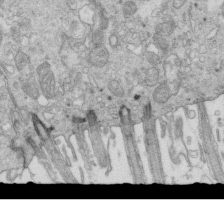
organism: Mouse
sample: Multiciliated cells